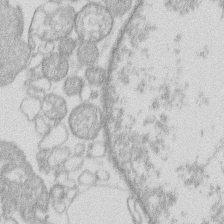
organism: Human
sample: Macrophage cells